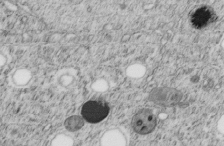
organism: C. elegans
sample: C. elegans embryo early stage